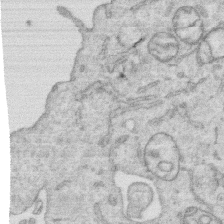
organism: Human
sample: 1205lu cells